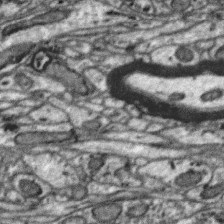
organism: Zebra finch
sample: Brain